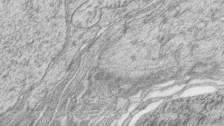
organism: Zebrafish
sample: synaptic ribbons in rod cells and cone cells